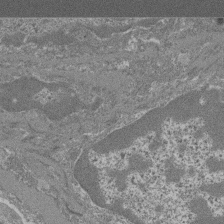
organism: Mouse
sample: Glomerulus